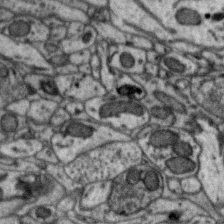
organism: Zebra finch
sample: Brain